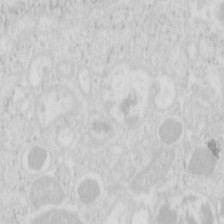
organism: Mouse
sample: Pancreas